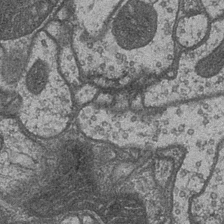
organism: Drosophila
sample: Optic medulla